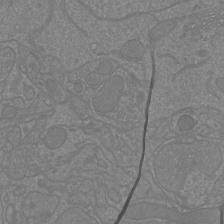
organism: Mouse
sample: Cortical neurons